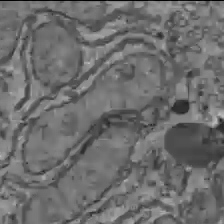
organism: C57BL Mouse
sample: Liver